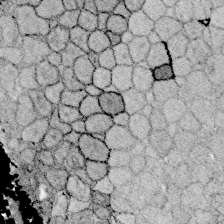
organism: Zebrafish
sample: Whole-Brain